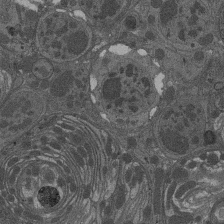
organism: Drosophila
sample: Antenna